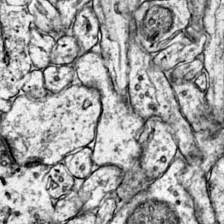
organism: Mouse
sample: Primary visual cortex